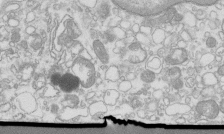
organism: Mouse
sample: Macrophages